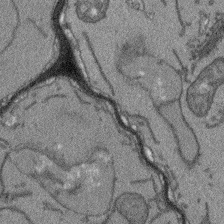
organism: Arabidopsis thaliana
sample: Root tip